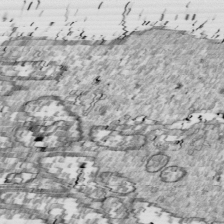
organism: Drosophila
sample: Cell division; meiosis; drosophila spermatocytes